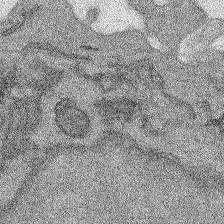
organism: Human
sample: HeLa cells